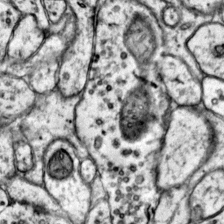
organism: Mouse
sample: Primary visual cortex